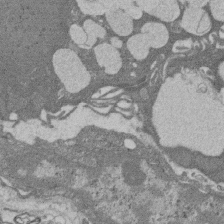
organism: Rat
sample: Salivary granule